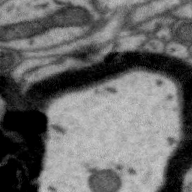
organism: Zebra finch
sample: Brain